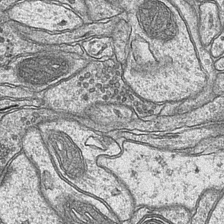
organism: Mouse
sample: CA1 Hippocampus